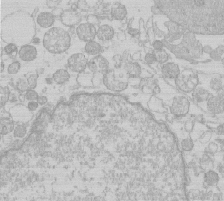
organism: Human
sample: Macrophage cells